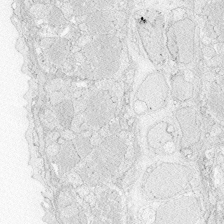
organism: Zebrafish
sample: Whole-Brain